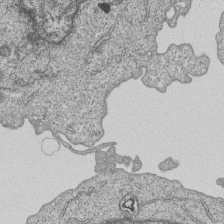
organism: Human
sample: MDA-MB-231 cells